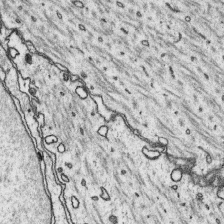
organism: Platynereis dumerilii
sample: Parapodia